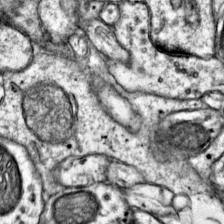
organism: Mouse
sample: Primary visual cortex